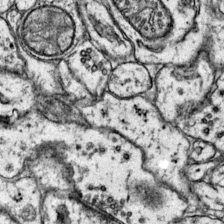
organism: Mouse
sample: Primary visual cortex